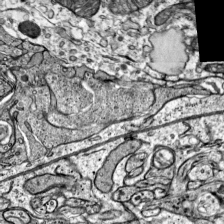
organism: Mouse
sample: Visual Cortex